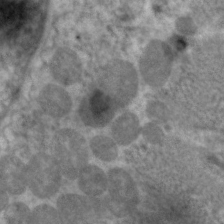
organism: C. elegans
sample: Pharynx